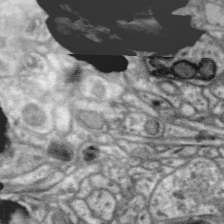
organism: Zebra finch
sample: Brain